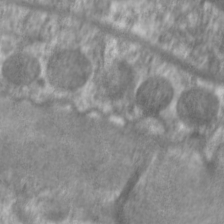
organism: C. elegans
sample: Pharynx